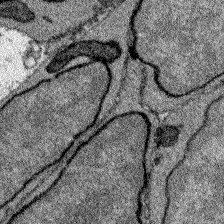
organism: Zebrafish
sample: Larval olfactory bulb